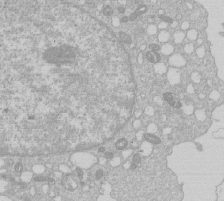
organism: Human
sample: Macrophage cells